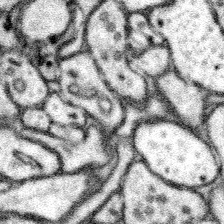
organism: Mouse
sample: Somatosensory cortex neuropil